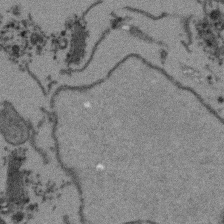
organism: Arabidopsis thaliana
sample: Root tip